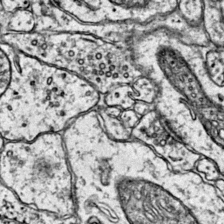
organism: Mouse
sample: Primary visual cortex